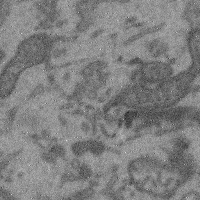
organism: Mouse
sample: Cerebral cortex